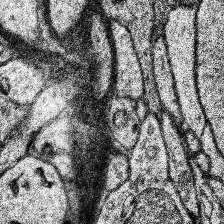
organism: Human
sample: Temporal Lobe